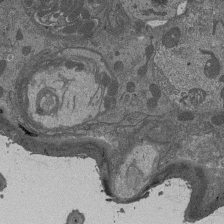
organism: Drosophila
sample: Antenna